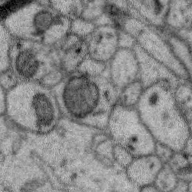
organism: Zebra finch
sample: Brain